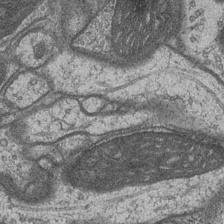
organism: Drosophila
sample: Optic medulla